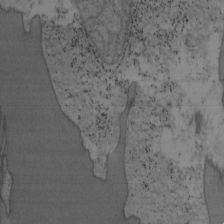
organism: Mouse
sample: OT-I killer T cells with ID8 ovarian cancer cells